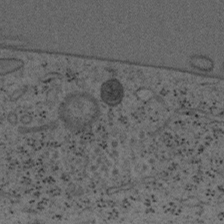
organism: Human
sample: HeLa cells